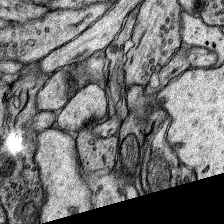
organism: Rat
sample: Hippocampus